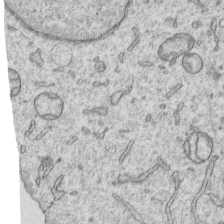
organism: Human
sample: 1205lu cells